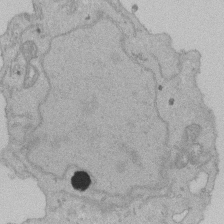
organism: Human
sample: Activated Jurkat CD4+ T cells